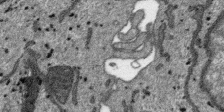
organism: Human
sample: Lung epithelial cells, uninfected (mock) control